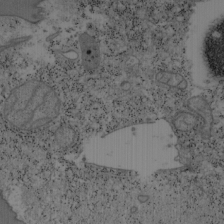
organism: Mouse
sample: OT-I killer T cells with ID8 ovarian cancer cells